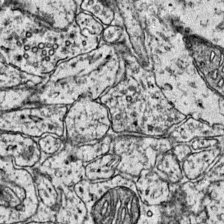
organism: Mouse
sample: Primary visual cortex